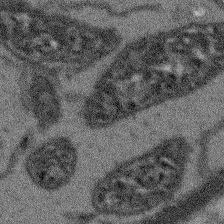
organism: Arabidopsis thaliana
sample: Root tip